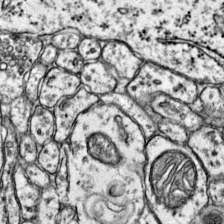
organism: Mouse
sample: Primary visual cortex